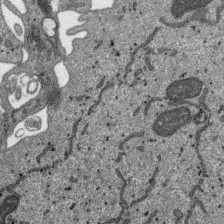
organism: Human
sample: Lung epithelial cells infected with SARS-CoV-2